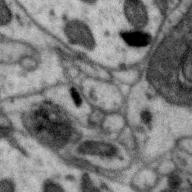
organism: Zebra finch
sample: Brain